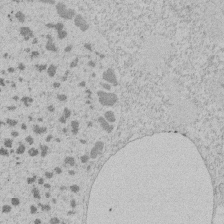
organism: Tetrahymena